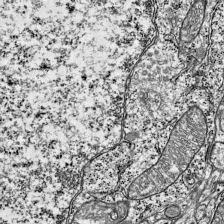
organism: Mouse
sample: Visual Cortex